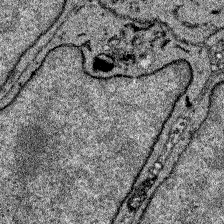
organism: Zebrafish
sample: Larval olfactory bulb